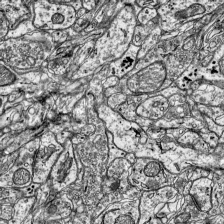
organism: Mouse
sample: Visual Cortex